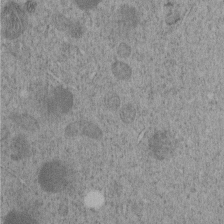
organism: C. elegans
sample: C. elegans embryo early stage